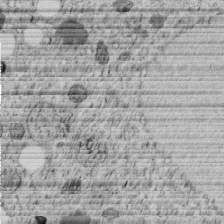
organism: C. elegans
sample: C. elegans embryo early stage